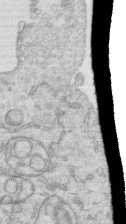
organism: Human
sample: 1205lu cells